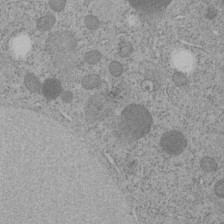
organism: C. elegans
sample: C. elegans embryo early stage